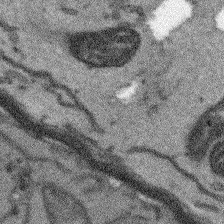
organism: Arabidopsis thaliana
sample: Root tip